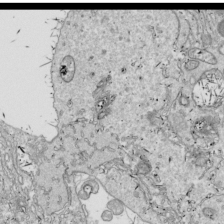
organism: Drosophila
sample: Cell division; meiosis; drosophila spermatocytes